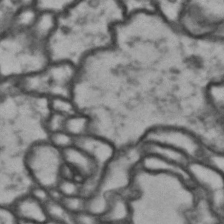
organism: Drosophila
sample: Brain